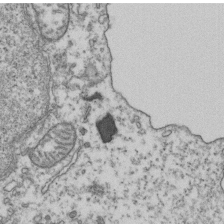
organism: Human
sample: Activated Jurkat CD4+ T cells